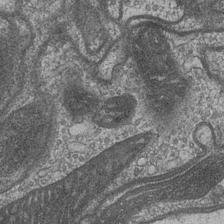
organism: Drosophila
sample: Optic medulla